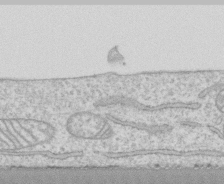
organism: Human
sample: CRL-1474